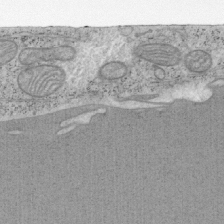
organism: Human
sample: HeLa cells